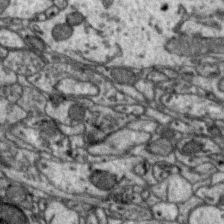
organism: Zebra finch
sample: Brain